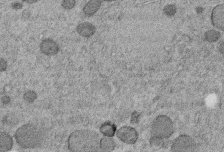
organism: C. elegans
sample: C. elegans embryo early stage